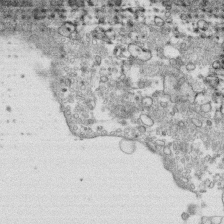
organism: Human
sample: CRL-1474